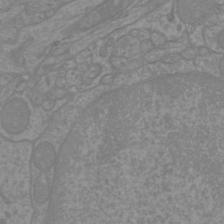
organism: Mouse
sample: Cortical neurons